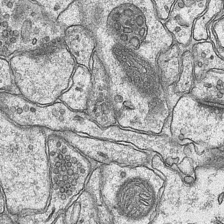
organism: Mouse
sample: CA1 Hippocampus